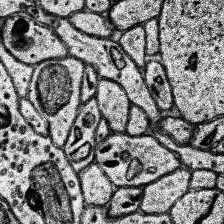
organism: Human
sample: Temporal Lobe